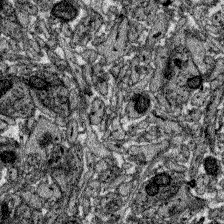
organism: Zebrafish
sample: Larval olfactory bulb